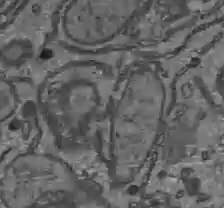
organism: C57BL Mouse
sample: Liver